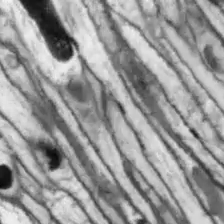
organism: Drosophila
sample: Optic lobe